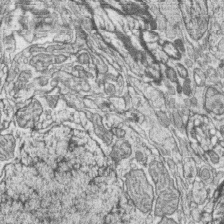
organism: Zebrafish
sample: synaptic ribbons in rod cells and cone cells